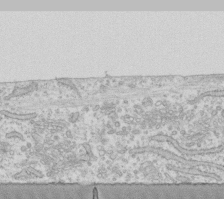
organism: Human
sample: Fibroblast cells